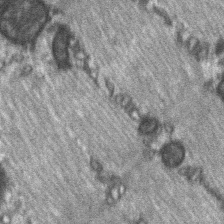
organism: C57BL Mouse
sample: Soleus